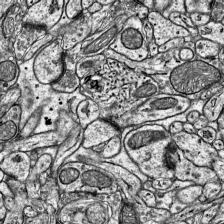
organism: Mouse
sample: Visual Cortex